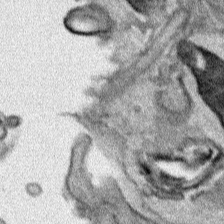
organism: Human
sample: Mitochondria in HCT116 cells